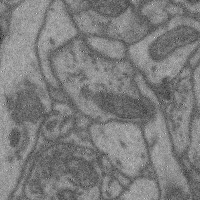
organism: Mouse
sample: Cerebral cortex